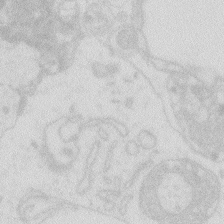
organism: Zebrafish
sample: Macrophage